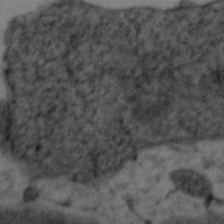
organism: Zebrafish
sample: Zebrafish embryo